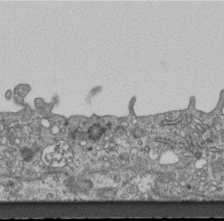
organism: Mouse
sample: Centriole in ependymal cells